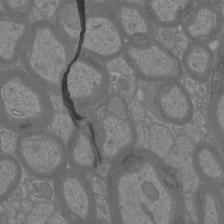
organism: Mouse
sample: Cortical neurons